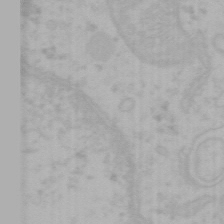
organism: Mouse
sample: Choroid plexus